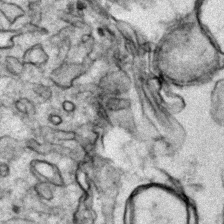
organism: Zebrafish